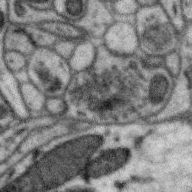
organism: Zebra finch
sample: Brain